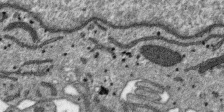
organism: Human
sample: Lung epithelial cells, uninfected (mock) control